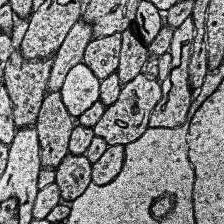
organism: Human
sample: Temporal Lobe